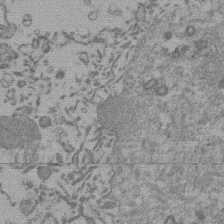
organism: Mouse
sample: Dividing mouse embryo 1 cell stage